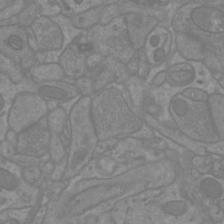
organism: Mouse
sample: Cortical neurons